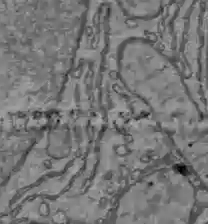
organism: C57BL Mouse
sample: Liver